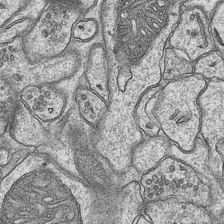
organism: Mouse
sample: CA1 Hippocampus